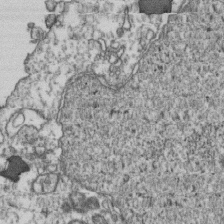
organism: Human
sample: Activated Jurkat CD4+ T cells